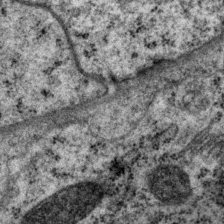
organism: P. pacificus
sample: Pharynx